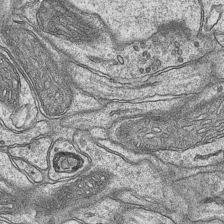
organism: Mouse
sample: CA1 Hippocampus